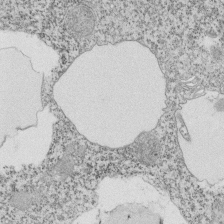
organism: Tetrahymena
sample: Cilia in tetrahymena